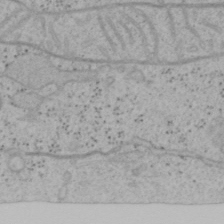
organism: Human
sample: HeLa cells